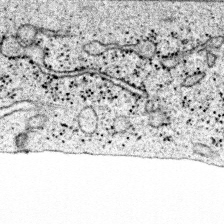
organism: Human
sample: HeLa cells